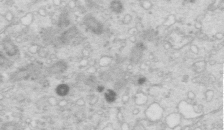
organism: Mouse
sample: Multiciliated cells